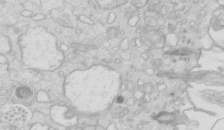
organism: Mouse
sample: Multiciliated cells